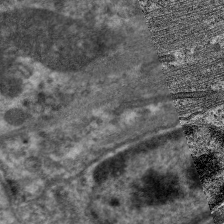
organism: C. elegans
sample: Pharynx